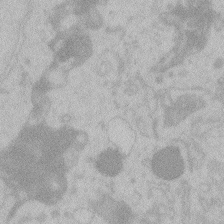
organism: Zebrafish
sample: Macrophage infected with Toxoplasma gondii